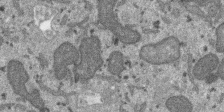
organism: Human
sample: Lung epithelial cells infected with SARS-CoV-2